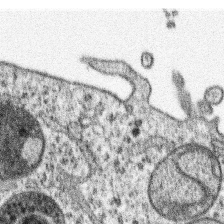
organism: Human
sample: HeLa cells